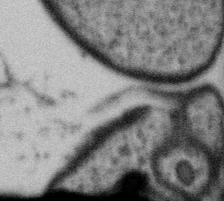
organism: Gemmata obscuriglobus